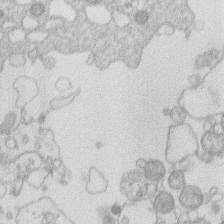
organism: Human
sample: Macrophage cells